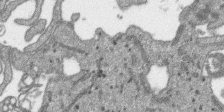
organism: Human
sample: Lung epithelial cells infected with SARS-CoV-2